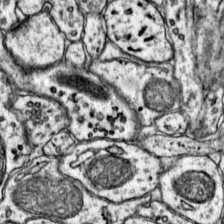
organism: Mouse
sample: Primary visual cortex